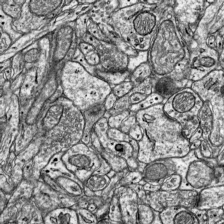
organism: Mouse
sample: Visual Cortex